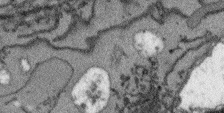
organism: Arabidopsis thaliana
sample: Root tip